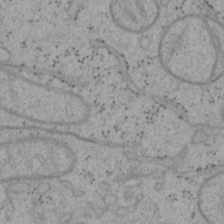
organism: Human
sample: HeLa cells